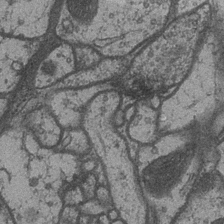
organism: Drosophila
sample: Optic medulla